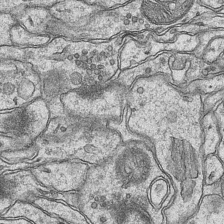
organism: Mouse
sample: CA1 Hippocampus